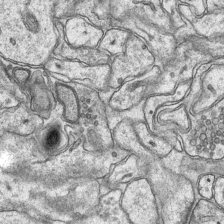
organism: Mouse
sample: CA1 Hippocampus